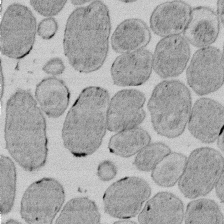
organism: E. coli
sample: Bacterial nucleoid